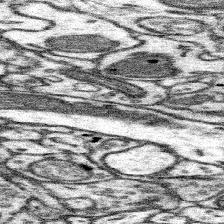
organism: Mouse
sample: Somatosensory cortex neuropil